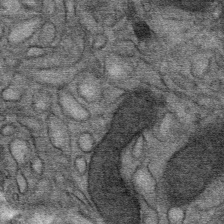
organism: Mouse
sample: Mouse Salivary gland